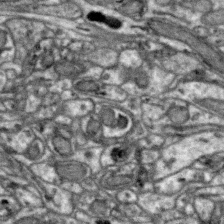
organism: Zebra finch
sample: Brain